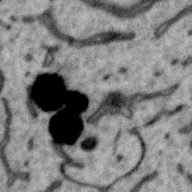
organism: Zebra finch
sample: Brain